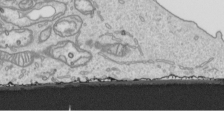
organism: Human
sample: Mitochondria in HCT116 cells